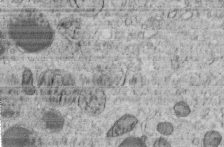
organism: C. elegans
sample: C. elegans embryo early stage